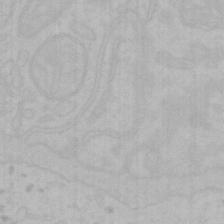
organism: Mouse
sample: Choroid plexus